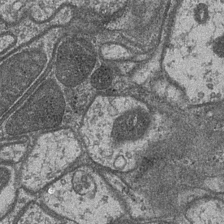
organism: Drosophila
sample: Optic medulla